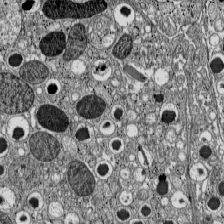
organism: C57BL Mouse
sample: Pancreatic islet